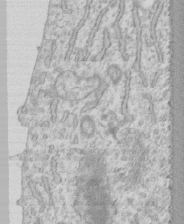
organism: Human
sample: CRL-1474